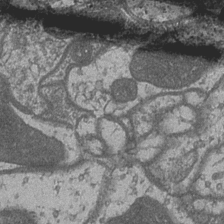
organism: Drosophila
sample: Optic medulla